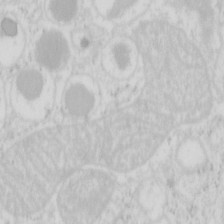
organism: Mouse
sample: Pancreas